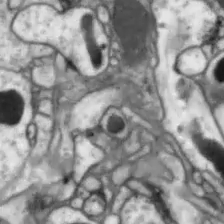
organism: Drosophila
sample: Optic lobe